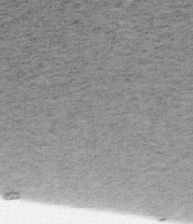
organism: Mouse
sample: OT-I killer T cells with ID8 ovarian cancer cells